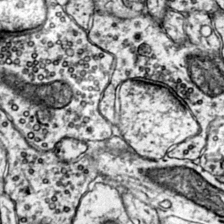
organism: Mouse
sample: Primary visual cortex